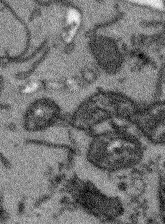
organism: Arabidopsis thaliana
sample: Root tip